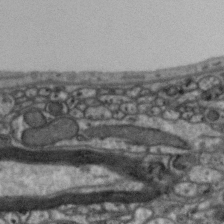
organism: Zebra finch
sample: Brain